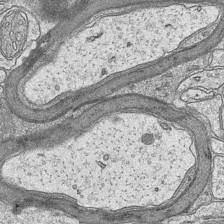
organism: Mouse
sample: CA1 Hippocampus